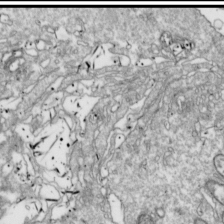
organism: Drosophila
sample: Cell division; meiosis; drosophila spermatocytes